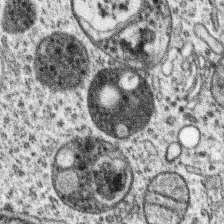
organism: Human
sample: HeLa cells